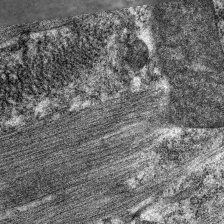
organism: C. elegans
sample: Pharynx